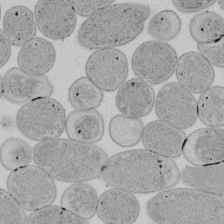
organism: E. coli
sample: Bacterial nucleoid